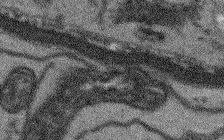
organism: Arabidopsis thaliana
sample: Root tip